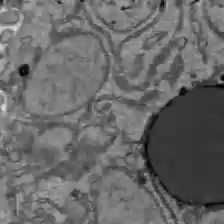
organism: C57BL Mouse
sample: Liver